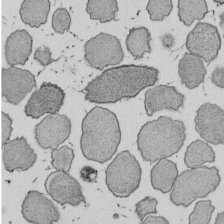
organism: E. coli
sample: Bacterial nucleoid